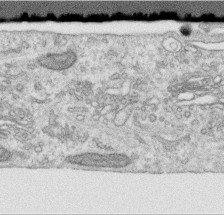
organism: Human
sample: Centriole in RPE cells